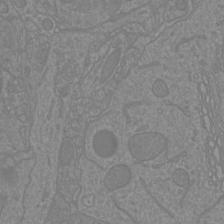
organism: Mouse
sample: Cortical neurons